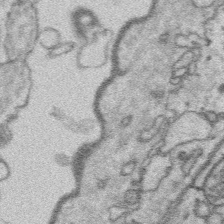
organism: Platynereis dumerilii